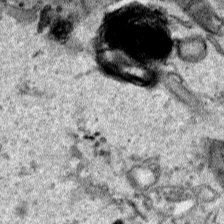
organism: Human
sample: Mitochondria in HCT116 cells